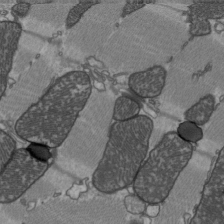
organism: C57BL Mouse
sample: Heart